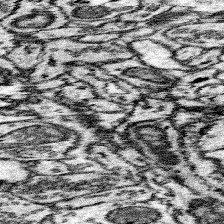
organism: Mouse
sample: Somatosensory cortex neuropil